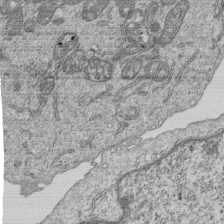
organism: Human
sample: MDA-MB-231 cells